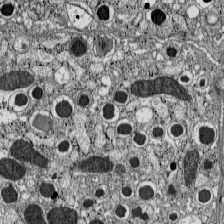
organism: C57BL Mouse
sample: Pancreatic islet